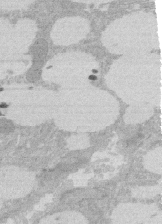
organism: Rat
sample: Salivary granule